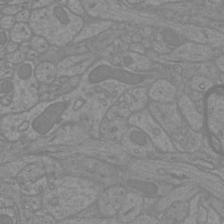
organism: Mouse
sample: Cortical neurons